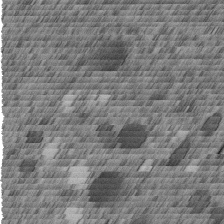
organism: C. elegans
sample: C. elegans embryo early stage